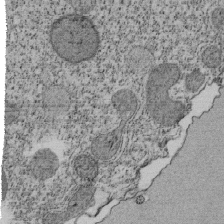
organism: Tetrahymena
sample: Cilia in tetrahymena